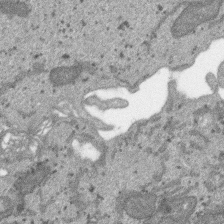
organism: Human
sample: Lung epithelial cells infected with SARS-CoV-2